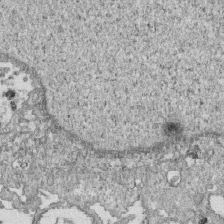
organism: Human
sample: HeLa cell HIV synapse